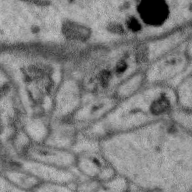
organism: Zebra finch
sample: Brain